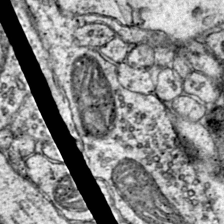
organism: Mouse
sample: Primary visual cortex